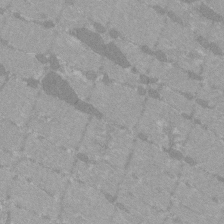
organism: C57BL Mouse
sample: Tibialis anterior muscle cell